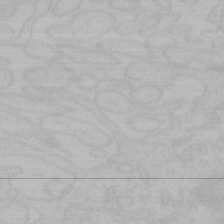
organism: Mouse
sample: Choroid plexus